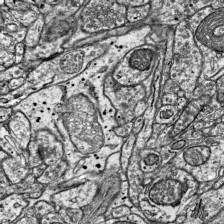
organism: Mouse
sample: Visual Cortex